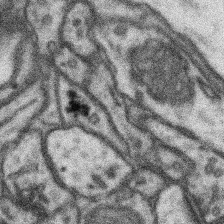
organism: Mouse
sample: Somatosensory cortex neuropil